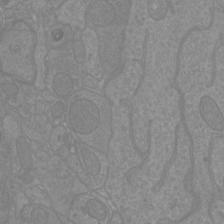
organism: Mouse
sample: Cortical neurons